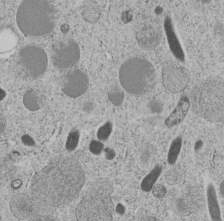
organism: C. elegans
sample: C. elegans embryo early stage